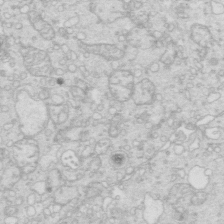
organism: Mouse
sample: Multiciliated cells